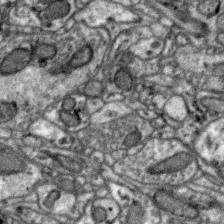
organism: Zebra finch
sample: Brain